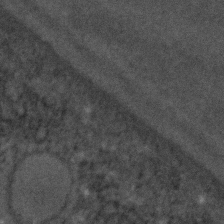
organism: C. elegans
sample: C. elegans embryo